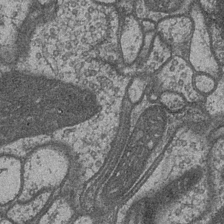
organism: Drosophila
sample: Optic medulla